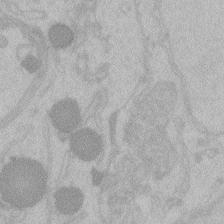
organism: Zebrafish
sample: Macrophage infected with Toxoplasma gondii